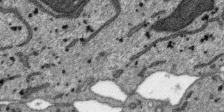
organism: Human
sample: Lung epithelial cells, uninfected (mock) control